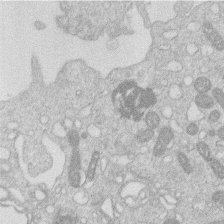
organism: Human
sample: Macrophage cells